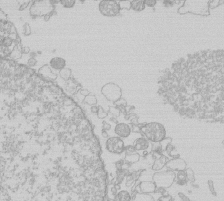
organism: Human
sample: Macrophage cells